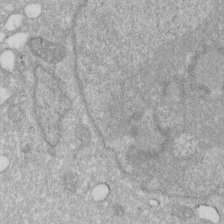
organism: Human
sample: HIV infected U937 cells